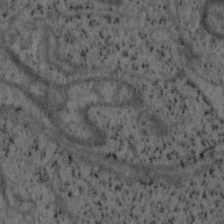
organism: Human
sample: HeLa cells